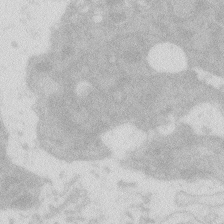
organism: Zebrafish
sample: Macrophage